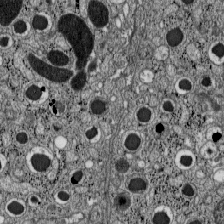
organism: C57BL Mouse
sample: Pancreatic islet